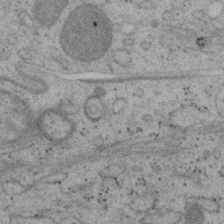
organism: Human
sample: HeLa cells